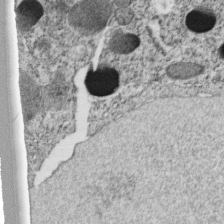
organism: C. elegans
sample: C. elegans embryo early stage